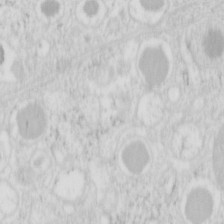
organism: Mouse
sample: Pancreas